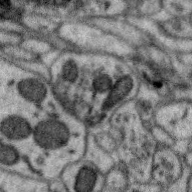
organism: Zebra finch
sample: Brain